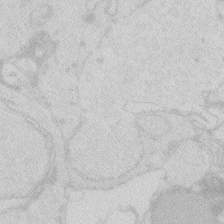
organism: Zebrafish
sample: Macrophage